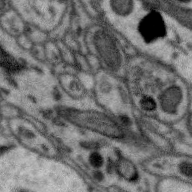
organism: Zebra finch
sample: Brain